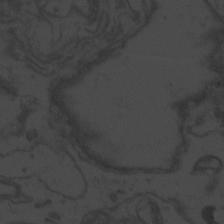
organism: Zebrafish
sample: Macrophage infected with Toxoplasma gondii